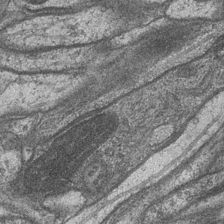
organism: Drosophila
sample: Optic medulla